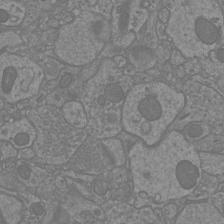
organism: Mouse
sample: Cortical neurons